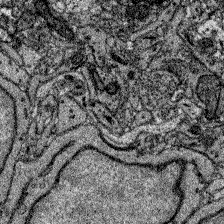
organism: Zebrafish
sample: Larval olfactory bulb